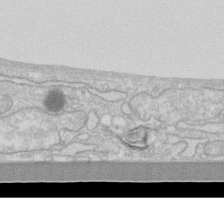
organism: Human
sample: Fibroblast cells